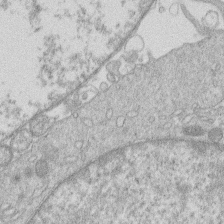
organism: Human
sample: Macrophage cells